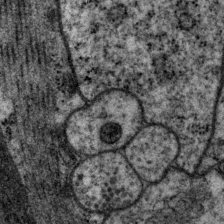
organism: P. pacificus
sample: Pharynx